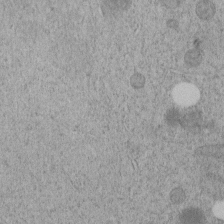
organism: C. elegans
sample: C. elegans embryo early stage